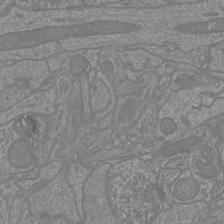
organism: Mouse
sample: Cortical neurons